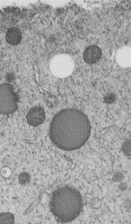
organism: C. elegans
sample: C. elegans embryo early stage